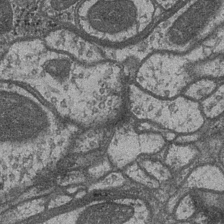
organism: Drosophila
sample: Optic medulla